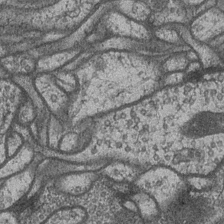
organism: Drosophila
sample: Optic medulla